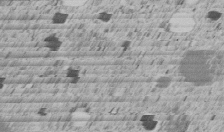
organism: C. elegans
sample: C. elegans embryo early stage